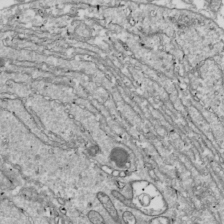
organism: Drosophila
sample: Cell division; meiosis; drosophila spermatocytes